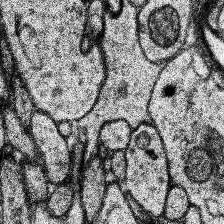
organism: Human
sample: Temporal Lobe